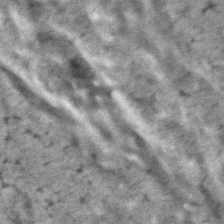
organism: Human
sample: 1205lu cells